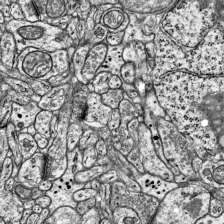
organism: Mouse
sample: Visual Cortex